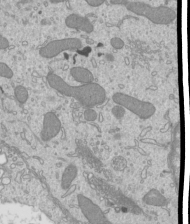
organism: Mouse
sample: Cilia; mouse epididymis